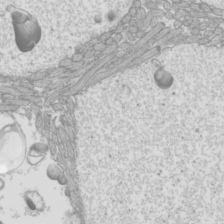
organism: Mouse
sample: Cilia; mouse epididymis